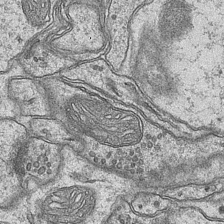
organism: Mouse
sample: CA1 Hippocampus